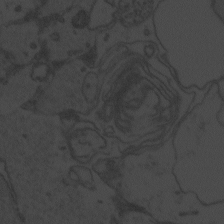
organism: Zebrafish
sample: Macrophage infected with Toxoplasma gondii